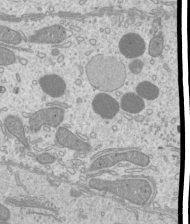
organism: Mouse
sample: Cilia; mouse epididymis